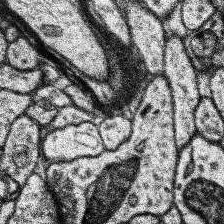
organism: Human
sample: Temporal Lobe